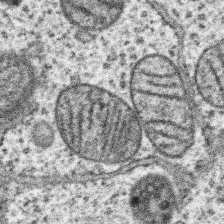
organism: Human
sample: HeLa cells